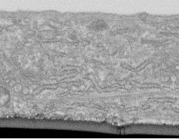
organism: Human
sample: Centriole in fibroblast cells